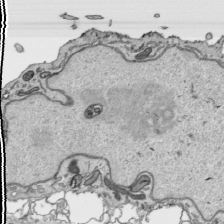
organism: Human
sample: Mitochondria in HCT116 cells